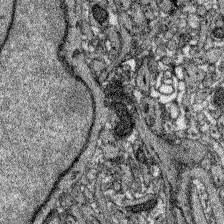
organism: Zebrafish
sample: Larval olfactory bulb